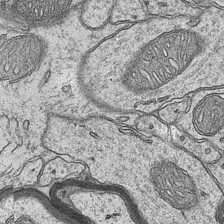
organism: Mouse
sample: CA1 Hippocampus